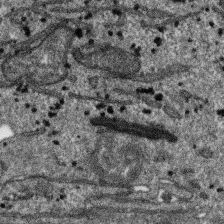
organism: Human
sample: Lung epithelial cells infected with SARS-CoV-2